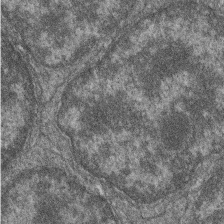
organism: Zebrafish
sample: Cilia; retinal pigment epithelium